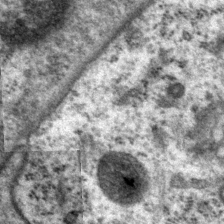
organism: P. pacificus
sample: Pharynx